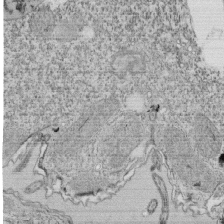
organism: Tetrahymena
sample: Cilia in tetrahymena